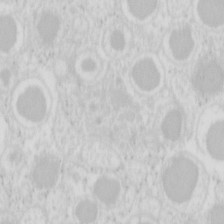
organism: Mouse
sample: Pancreas